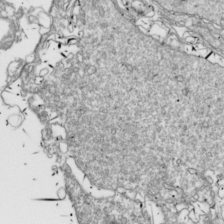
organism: Drosophila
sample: Cell division; meiosis; drosophila spermatocytes